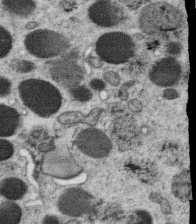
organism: C. elegans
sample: C. elegans oocyte; sperm cells